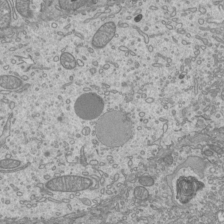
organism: Mouse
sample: Cilia; mouse epididymis